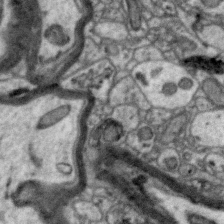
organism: Zebra finch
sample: Brain